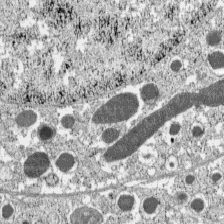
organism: C57BL Mouse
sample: Pancreatic islet